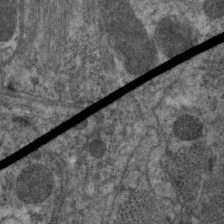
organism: C. elegans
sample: Pharynx